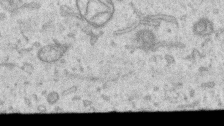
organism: Human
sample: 1205lu cells